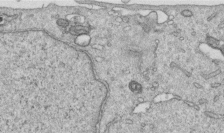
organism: Human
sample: Centriole in RPE cells